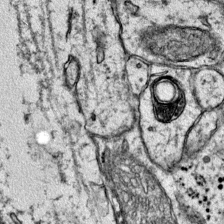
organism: Mouse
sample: Primary visual cortex